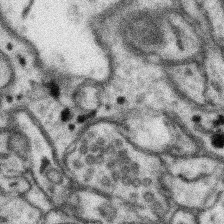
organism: Mouse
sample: Somatosensory cortex neuropil